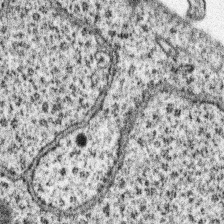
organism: Human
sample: HeLa cells